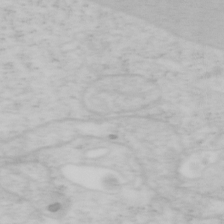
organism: Mouse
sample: OT-I killer T cells with ID8 ovarian cancer cells